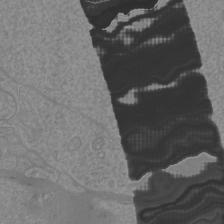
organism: Mouse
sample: Cortical neurons